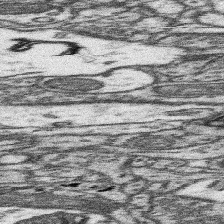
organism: Mouse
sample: Somatosensory cortex neuropil